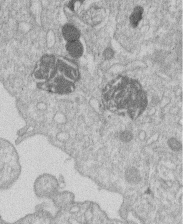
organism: Human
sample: Macrophage cells